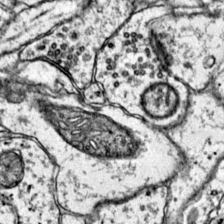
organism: Mouse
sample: Primary visual cortex